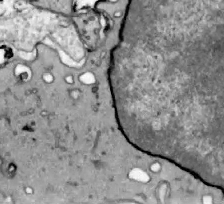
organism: Zebrafish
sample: Actinotrichia fibers